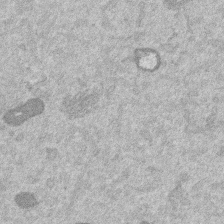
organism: Mouse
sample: Dividing mouse embryo 1 cell stage